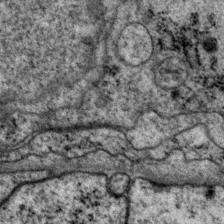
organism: P. pacificus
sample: Pharynx